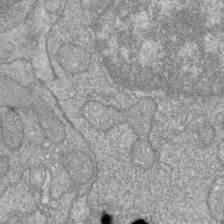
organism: Zebrafish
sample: Cilia; retinal pigment epithelium